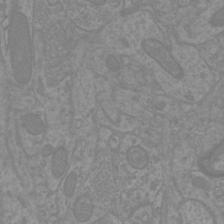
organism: Mouse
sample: Cortical neurons